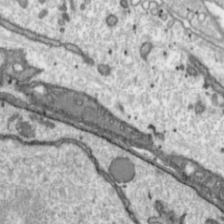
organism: Toxoplasma gondii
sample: Parasites in a vacuole inside a host cell